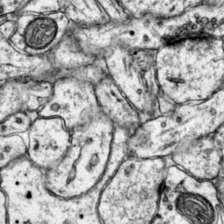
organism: Mouse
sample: Primary visual cortex